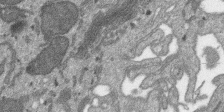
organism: Human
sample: Lung epithelial cells infected with SARS-CoV-2